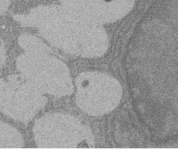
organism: Rat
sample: Salivary granule